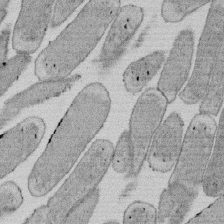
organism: E. coli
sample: Bacterial nucleoid